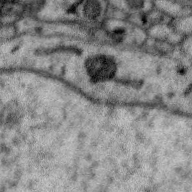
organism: Zebra finch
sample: Brain